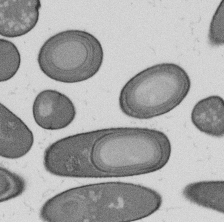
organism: B. subtilis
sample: Bacterial spore